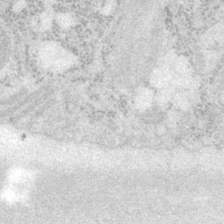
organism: P. pacificus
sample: Pharynx